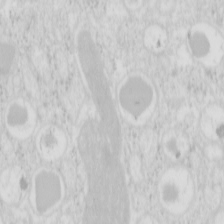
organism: Mouse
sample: Pancreas